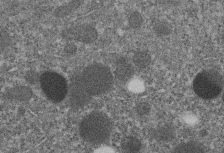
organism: C. elegans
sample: C. elegans embryo early stage